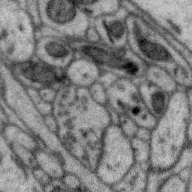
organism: Zebra finch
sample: Brain